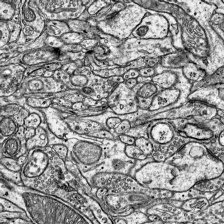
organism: Mouse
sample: Visual Cortex